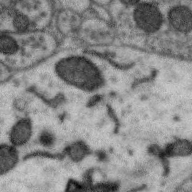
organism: Zebra finch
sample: Brain